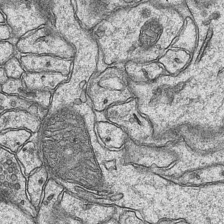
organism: Mouse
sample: CA1 Hippocampus